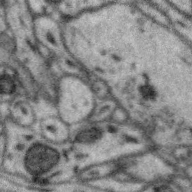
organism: Zebra finch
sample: Brain